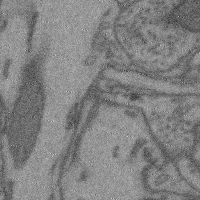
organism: Mouse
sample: Cerebral cortex